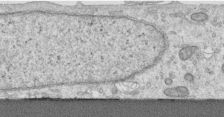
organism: Human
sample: Centriole in RPE cells